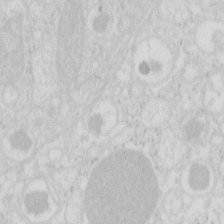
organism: Mouse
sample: Pancreas